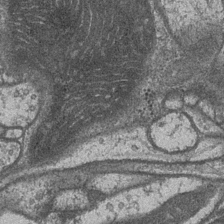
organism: Drosophila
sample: Optic medulla